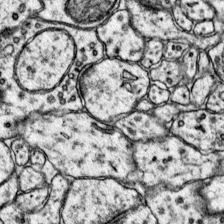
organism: Mouse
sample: Primary visual cortex